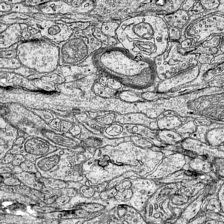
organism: Mouse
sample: Visual Cortex